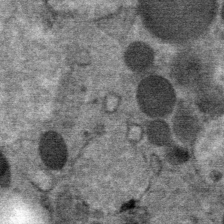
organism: Mouse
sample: Mouse Salivary gland